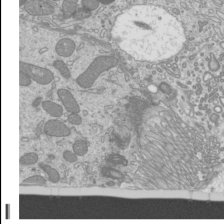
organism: Mouse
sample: Cilia; mouse epididymis